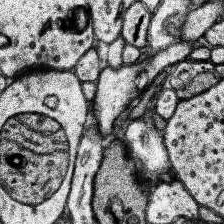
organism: Human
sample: Temporal Lobe